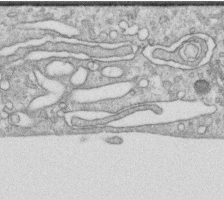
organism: Human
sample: Centriole in RPE cells